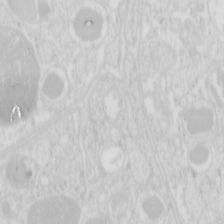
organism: Mouse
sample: Pancreas